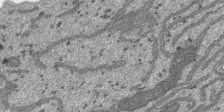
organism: Human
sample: Lung epithelial cells infected with SARS-CoV-2